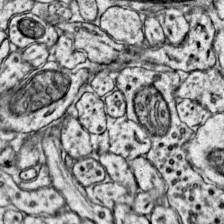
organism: Mouse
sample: Primary visual cortex